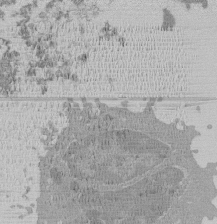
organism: Mouse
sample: Activated Pmel transgenic CD8+ T Cells